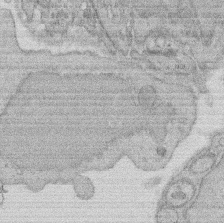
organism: Rat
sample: Salivary granule